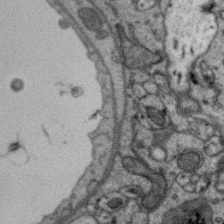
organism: Zebra finch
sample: Brain